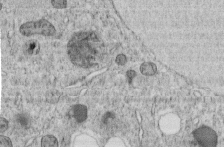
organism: C. elegans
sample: C. elegans embryo early stage